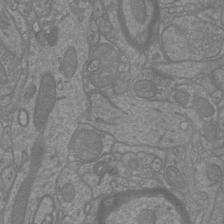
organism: Mouse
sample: Cortical neurons